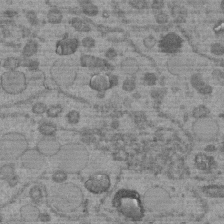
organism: C. elegans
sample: C. elegans embryo early stage